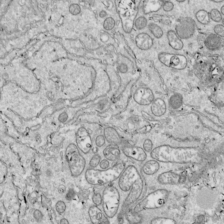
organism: Drosophila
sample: Cell division; meiosis; drosophila spermatocytes